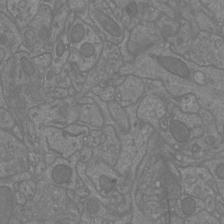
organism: Mouse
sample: Cortical neurons